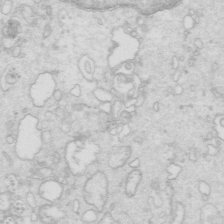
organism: Mouse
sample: Multiciliated cells